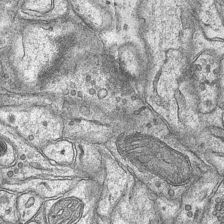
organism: Mouse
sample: CA1 Hippocampus